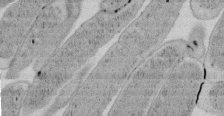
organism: E. coli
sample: Bacterial nucleoid